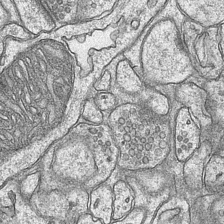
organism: Mouse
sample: CA1 Hippocampus